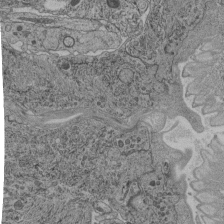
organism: C. elegans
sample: C. elegans pharynx